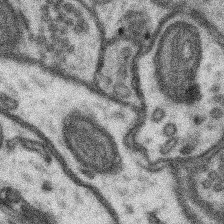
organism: Mouse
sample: Somatosensory cortex neuropil